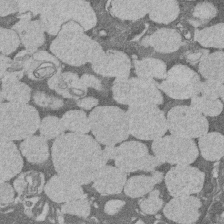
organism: Rat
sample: Salivary granule